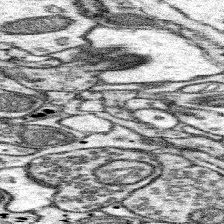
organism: Mouse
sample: Somatosensory cortex neuropil